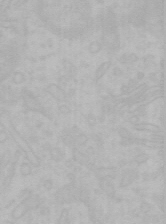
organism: Mouse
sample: Choroid plexus